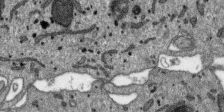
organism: Human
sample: Lung epithelial cells, uninfected (mock) control